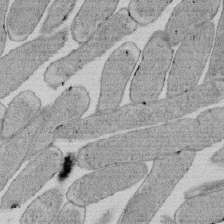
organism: E. coli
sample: Bacterial nucleoid